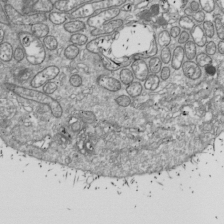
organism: Drosophila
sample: Cell division; meiosis; drosophila spermatocytes